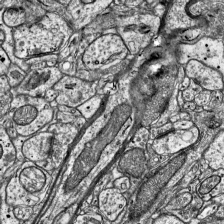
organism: Mouse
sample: Visual Cortex